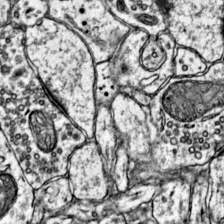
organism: Mouse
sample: Primary visual cortex